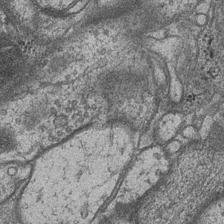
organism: Drosophila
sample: Optic medulla